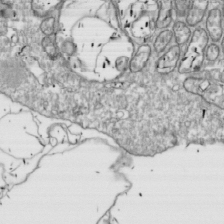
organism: Drosophila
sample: Cell division; meiosis; drosophila spermatocytes